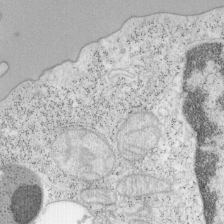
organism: Mouse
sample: OT-I killer T cells with ID8 ovarian cancer cells